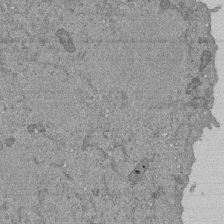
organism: Mouse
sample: ED-1 cell nuclei; centrioles